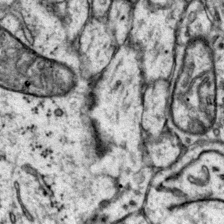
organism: Mouse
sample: Primary visual cortex